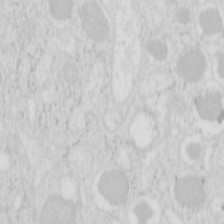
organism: Mouse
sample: Pancreas